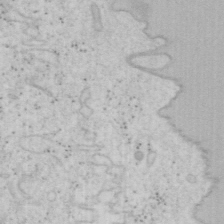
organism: Human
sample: HeLa cells